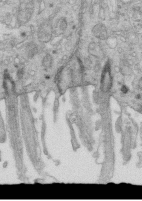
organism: Mouse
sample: Multiciliated cells